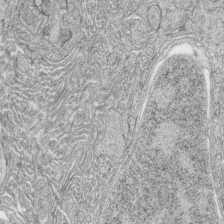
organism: Zebrafish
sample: synaptic ribbons in rod cells and cone cells